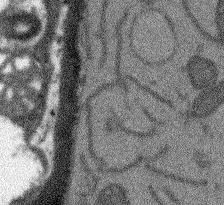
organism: Arabidopsis thaliana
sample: Root tip